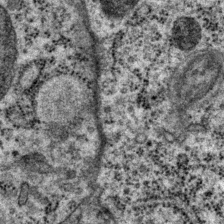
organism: P. pacificus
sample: Pharynx